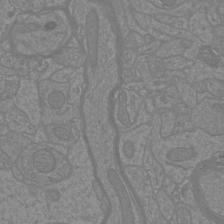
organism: Mouse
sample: Cortical neurons